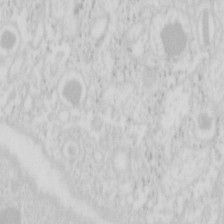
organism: Mouse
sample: Pancreas